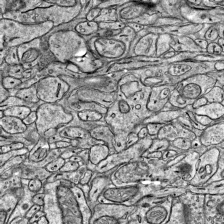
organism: Mouse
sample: Visual Cortex